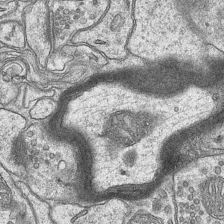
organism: Mouse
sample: CA1 Hippocampus